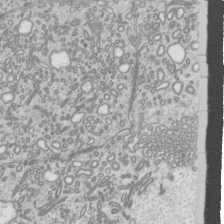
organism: Mouse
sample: Cilia; mouse epididymis